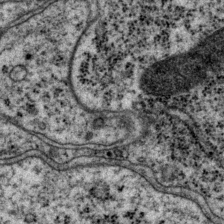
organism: P. pacificus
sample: Pharynx